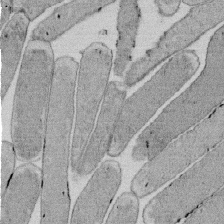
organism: E. coli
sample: Bacterial nucleoid